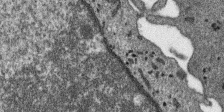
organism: Human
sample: Lung epithelial cells infected with SARS-CoV-2